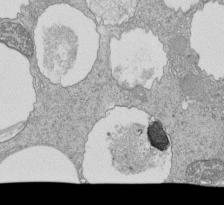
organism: Tetrahymena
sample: Cilia in tetrahymena